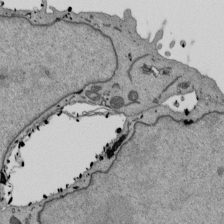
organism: Mouse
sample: ED-1 cell nuclei; centrioles